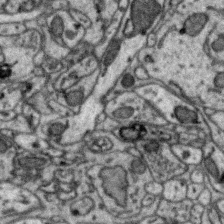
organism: Zebra finch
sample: Brain